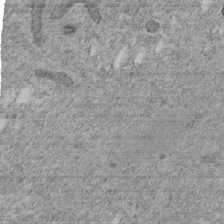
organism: C. elegans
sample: C. elegans embryo early stage